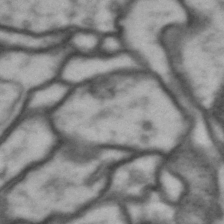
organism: Drosophila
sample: Brain